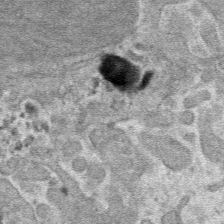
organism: Mouse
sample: Mouse hepatocytes